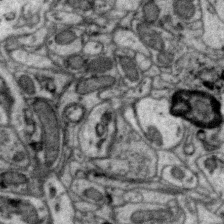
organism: Zebra finch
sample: Brain